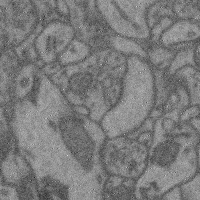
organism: Mouse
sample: Cerebral cortex